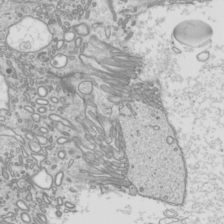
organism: Mouse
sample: Cilia; mouse epididymis